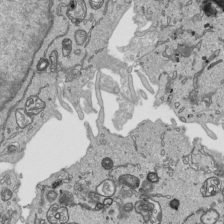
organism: Human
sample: Mitochondria in HCT116 cells